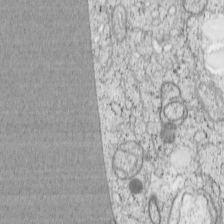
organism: African green monkey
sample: COS-7 cells